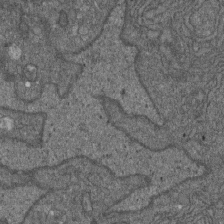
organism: Drosophila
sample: Nephrocyte